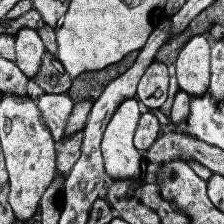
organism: Human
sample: Temporal Lobe